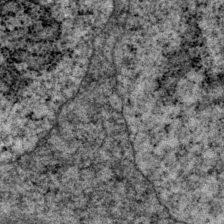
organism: P. pacificus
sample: Pharynx